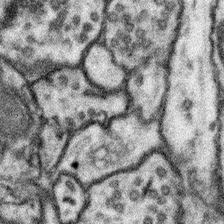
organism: Mouse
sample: Somatosensory cortex neuropil